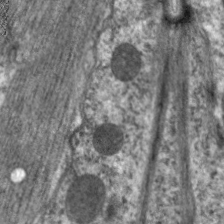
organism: C. elegans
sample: Pharynx